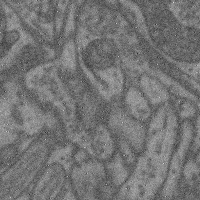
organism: Mouse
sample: Cerebral cortex